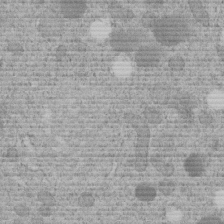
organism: C. elegans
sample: C. elegans embryo early stage